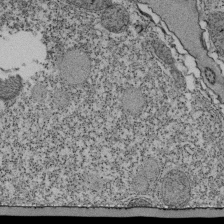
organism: Tetrahymena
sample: Cilia in tetrahymena